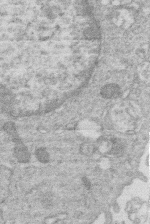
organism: Human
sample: Macrophage cells